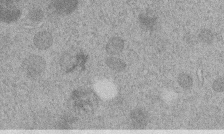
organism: C. elegans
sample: C. elegans embryo early stage